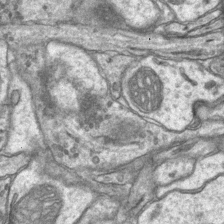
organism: Mouse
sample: CA1 Hippocampus